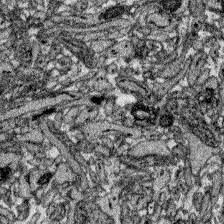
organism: Zebrafish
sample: Larval olfactory bulb